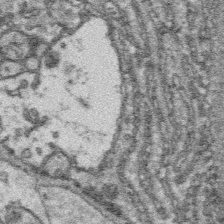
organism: Platynereis dumerilii